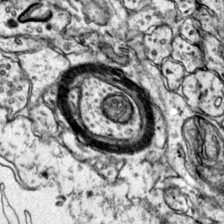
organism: Mouse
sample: Primary visual cortex